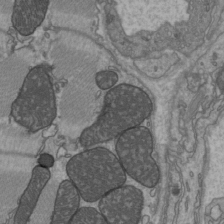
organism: C57BL Mouse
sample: Heart